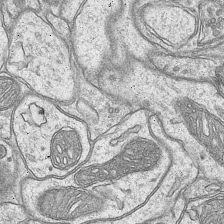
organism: Mouse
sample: CA1 Hippocampus